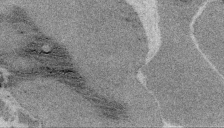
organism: Embia sp.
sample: Silk gland